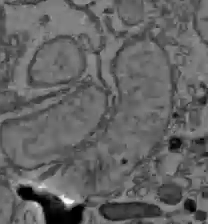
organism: C57BL Mouse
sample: Liver